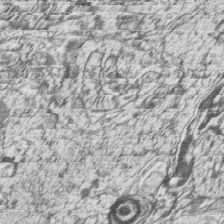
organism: Zebrafish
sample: synaptic ribbons in rod cells and cone cells